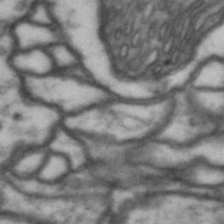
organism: Drosophila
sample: Brain